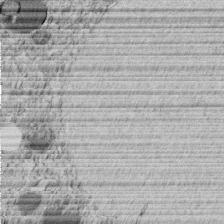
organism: C. elegans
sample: C. elegans embryo early stage